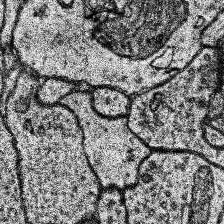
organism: Human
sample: Temporal Lobe